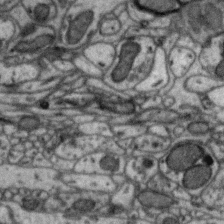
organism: Zebra finch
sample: Brain